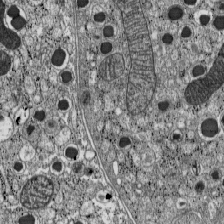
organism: C57BL Mouse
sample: Pancreatic islet